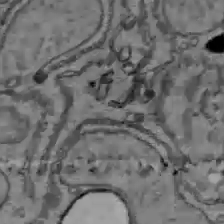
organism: C57BL Mouse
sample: Liver